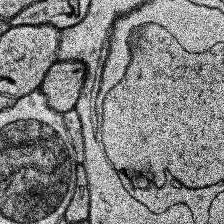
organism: Human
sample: Temporal Lobe